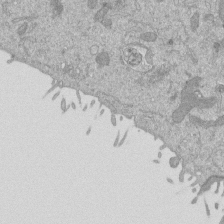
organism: Mouse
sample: ED-1 cell nuclei; centrioles